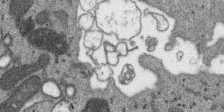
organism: Human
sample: Lung epithelial cells infected with SARS-CoV-2